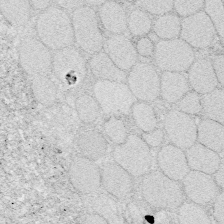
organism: Zebrafish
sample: Whole-Brain